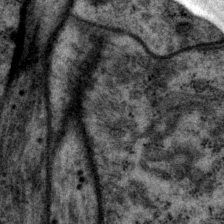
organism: P. pacificus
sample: Pharynx